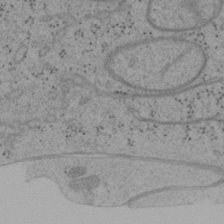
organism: Human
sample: HeLa cells